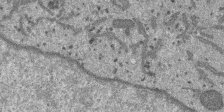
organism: Human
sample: Lung epithelial cells infected with SARS-CoV-2